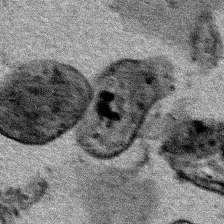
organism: Human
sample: Mitochondria in HCT116 cells